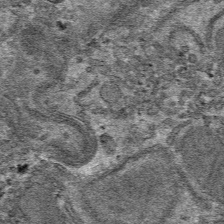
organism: Mouse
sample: Mouse hepatocytes